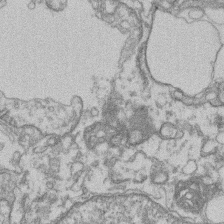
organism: Mouse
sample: T cell stromal cell synapse